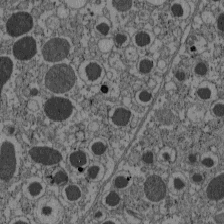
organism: C57BL Mouse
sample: Pancreatic islet